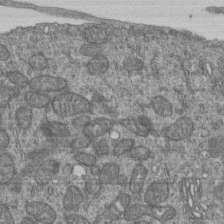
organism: Human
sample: Retinal organoid Rod and Cone cells